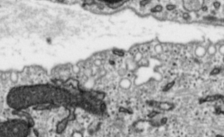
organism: Toxoplasma gondii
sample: Parasites in a vacuole inside a host cell